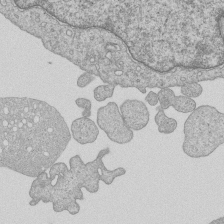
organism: Human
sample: MDA-MB-231 cells